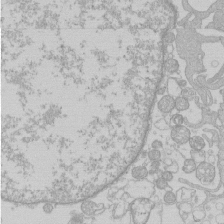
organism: Human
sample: Macrophage cells